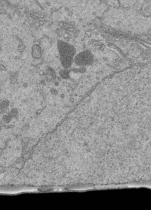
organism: Human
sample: Retinal organoid Rod and Cone cells